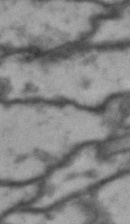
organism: Drosophila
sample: Brain